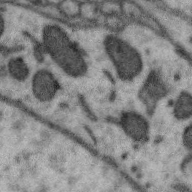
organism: Zebra finch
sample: Brain